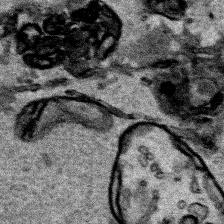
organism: Human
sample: Mitochondria in HCT116 cells